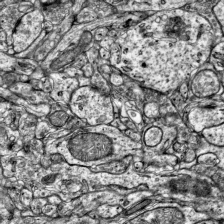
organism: Mouse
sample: Visual Cortex